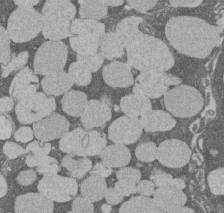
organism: Rat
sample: Salivary granule